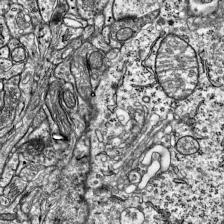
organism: Mouse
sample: Visual Cortex